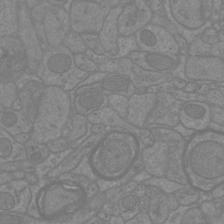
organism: Mouse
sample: Cortical neurons